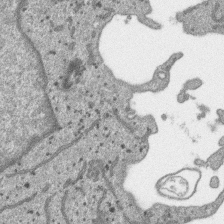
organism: Human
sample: Lung epithelial cells infected with SARS-CoV-2